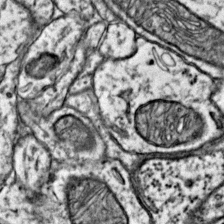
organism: Mouse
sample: Primary visual cortex